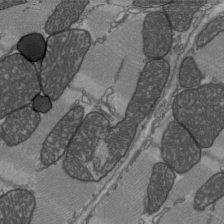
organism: C57BL Mouse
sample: Heart